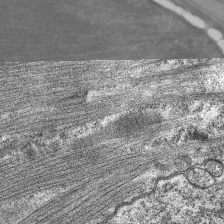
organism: C. elegans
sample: Pharynx